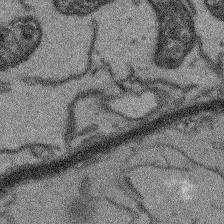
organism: Arabidopsis thaliana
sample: Root tip